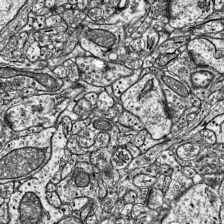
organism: Mouse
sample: Visual Cortex